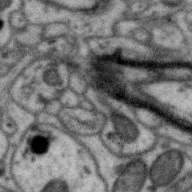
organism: Zebra finch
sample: Brain